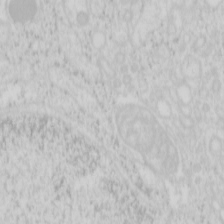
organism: Mouse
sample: Pancreas